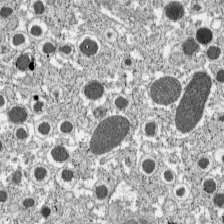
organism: C57BL Mouse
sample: Pancreatic islet